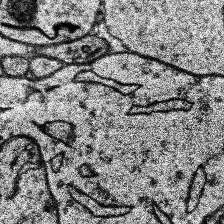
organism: Human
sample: Temporal Lobe